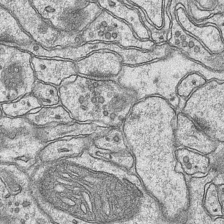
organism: Mouse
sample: CA1 Hippocampus